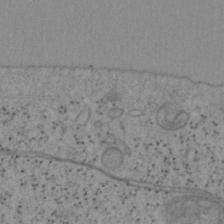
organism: Human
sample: HeLa cells